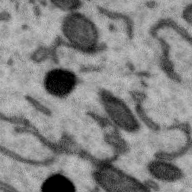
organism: Zebra finch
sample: Brain